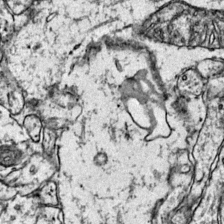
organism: Mouse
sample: Primary visual cortex